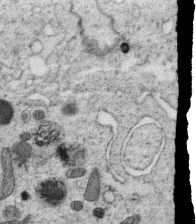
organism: C. elegans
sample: C. elegans oocyte; sperm cells